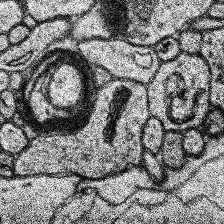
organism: Human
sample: Temporal Lobe